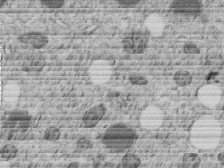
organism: C. elegans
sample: C. elegans embryo early stage